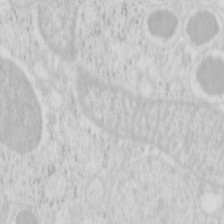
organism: Mouse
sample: Pancreas